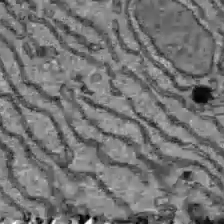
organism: C57BL Mouse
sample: Liver